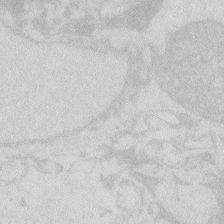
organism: Zebrafish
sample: Macrophage